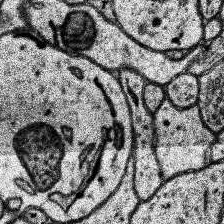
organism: Human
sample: Temporal Lobe